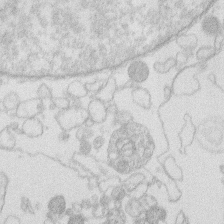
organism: Human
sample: Macrophage cells